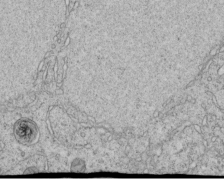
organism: C. elegans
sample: C. elegans embryo early stage